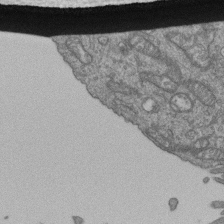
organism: Human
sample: Retinal organoid Rod and Cone cells